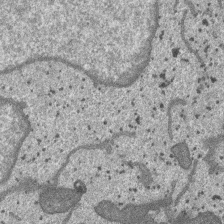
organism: Human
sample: Lung epithelial cells infected with SARS-CoV-2